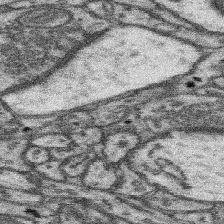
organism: Mouse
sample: Somatosensory cortex neuropil